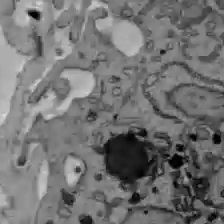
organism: C57BL Mouse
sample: Liver